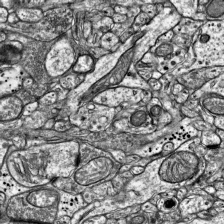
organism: Mouse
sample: Visual Cortex